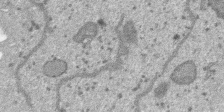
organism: Human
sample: Lung epithelial cells infected with SARS-CoV-2